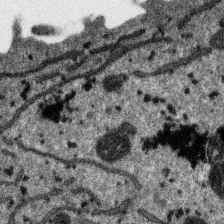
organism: Human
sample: Lung epithelial cells infected with SARS-CoV-2